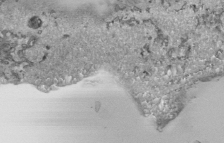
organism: Human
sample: Mitochondria in HCT116 cells